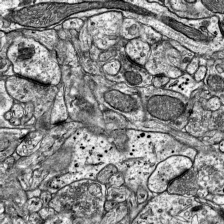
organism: Mouse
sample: Visual Cortex